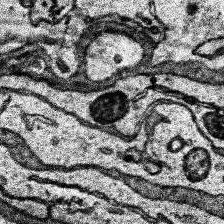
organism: Human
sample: Temporal Lobe